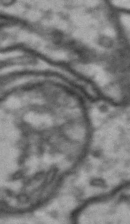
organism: Drosophila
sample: Brain